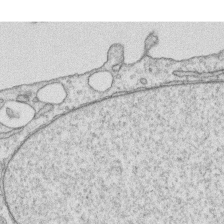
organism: Human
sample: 1205lu cells